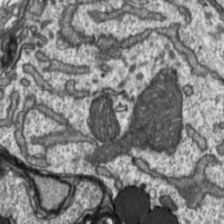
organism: Toxoplasma gondii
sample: Parasites in a vacuole inside a host cell